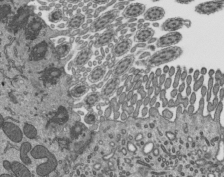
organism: Mouse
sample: Mouse epididymis efferent ductule cilia